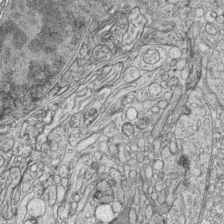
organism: Zebrafish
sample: synaptic ribbons in rod cells and cone cells